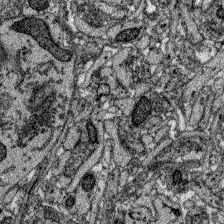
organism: Zebrafish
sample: Larval olfactory bulb